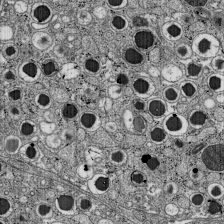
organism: C57BL Mouse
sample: Pancreatic islet